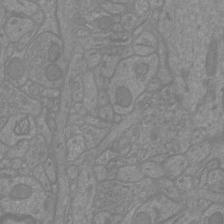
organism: Mouse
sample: Cortical neurons